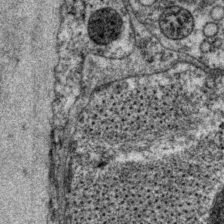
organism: P. pacificus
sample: Pharynx